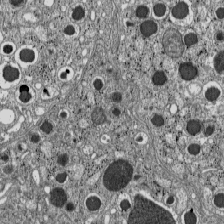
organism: C57BL Mouse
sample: Pancreatic islet